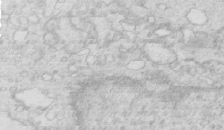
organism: Mouse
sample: Multiciliated cells